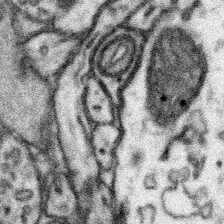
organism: Mouse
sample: Somatosensory cortex neuropil